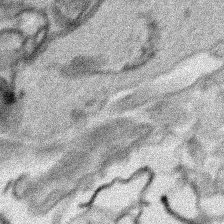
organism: Human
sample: Mitochondria in HCT116 cells